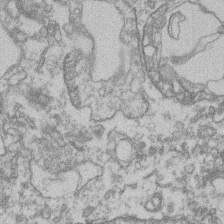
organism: Mouse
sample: T cell stromal cell synapse